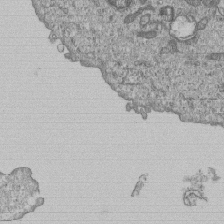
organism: Human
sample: MDA-MB-231 cells